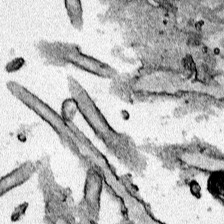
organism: Human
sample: Mitochondria in HCT116 cells